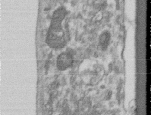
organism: Human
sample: Centriole in RPE cells